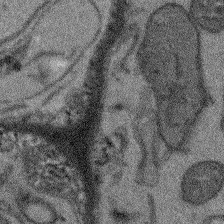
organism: Arabidopsis thaliana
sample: Root tip